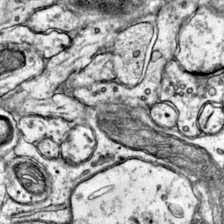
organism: Mouse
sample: Primary visual cortex